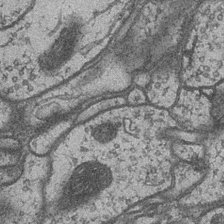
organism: Drosophila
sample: Optic medulla